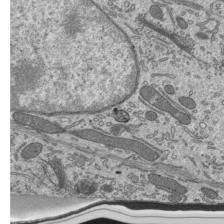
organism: Mouse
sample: Mouse epididymis efferent ductule cilia